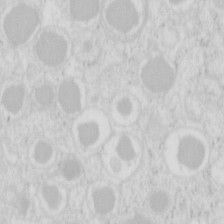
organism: Mouse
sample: Pancreas